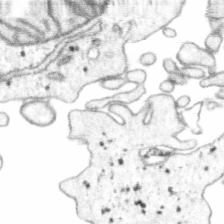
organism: Human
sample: HeLa cells